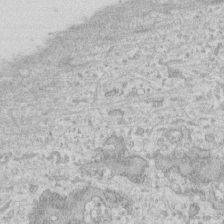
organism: Human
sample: Fibroblast cells